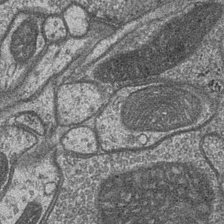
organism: Drosophila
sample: Optic medulla